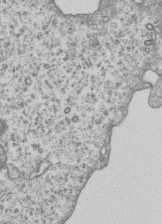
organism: Human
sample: MDA-MB-231 cells